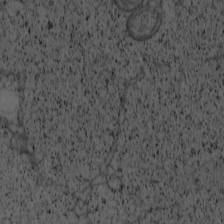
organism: African green monkey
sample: COS-7 cells